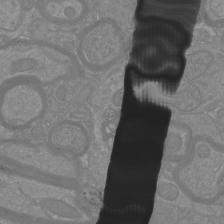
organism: Mouse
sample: Cortical neurons